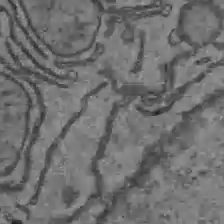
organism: C57BL Mouse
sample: Liver